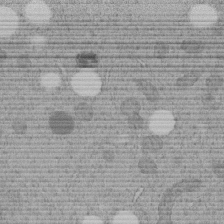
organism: C. elegans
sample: C. elegans embryo early stage